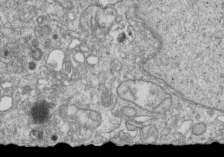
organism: Human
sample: HeLa cell HIV synapse